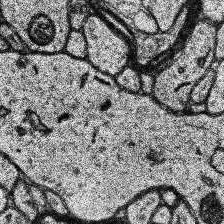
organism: Human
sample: Temporal Lobe